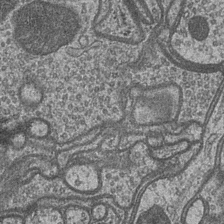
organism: Drosophila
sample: Optic medulla